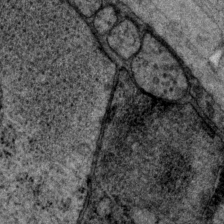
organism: P. pacificus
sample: Pharynx